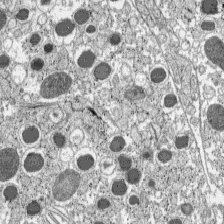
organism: C57BL Mouse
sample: Pancreatic islet